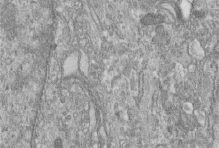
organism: Human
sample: Centriole in fibroblast cells